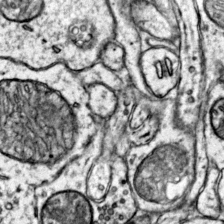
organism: Mouse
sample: Primary visual cortex